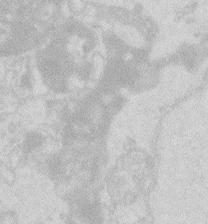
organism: Zebrafish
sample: Macrophage